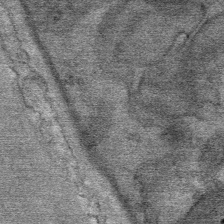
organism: Mouse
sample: Mouse Salivary gland